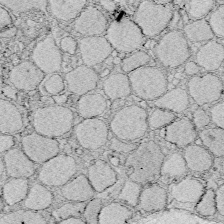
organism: Zebrafish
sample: Whole-Brain